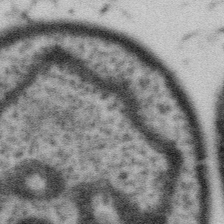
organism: Gemmata obscuriglobus